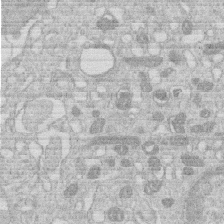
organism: Human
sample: Macrophage cells